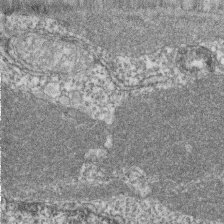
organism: Zebrafish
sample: Cilia; retinal pigment epithelium